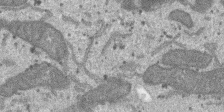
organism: Human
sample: Lung epithelial cells infected with SARS-CoV-2